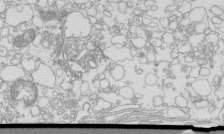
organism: Mouse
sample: Macrophages